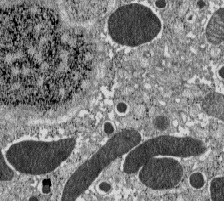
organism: C57BL Mouse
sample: Pancreatic islet